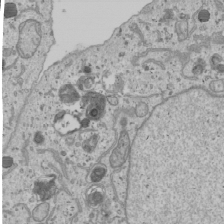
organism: Human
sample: Mitochondria in U2OS cells